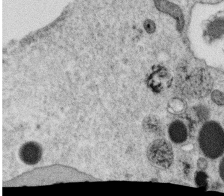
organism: C. elegans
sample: C. elegans oocyte; sperm cells